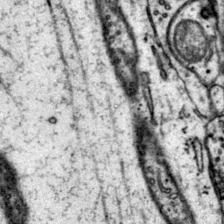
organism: Mouse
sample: Primary visual cortex